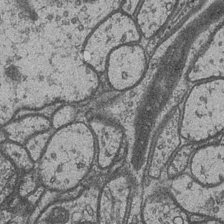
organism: Drosophila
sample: Optic medulla